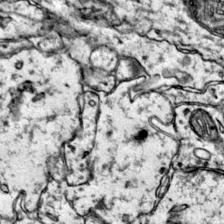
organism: Mouse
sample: Primary visual cortex